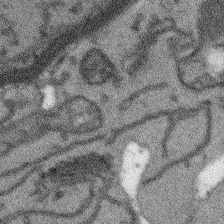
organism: Arabidopsis thaliana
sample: Root tip